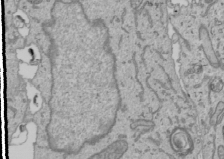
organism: Human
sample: Mitochondria in U2OS cells